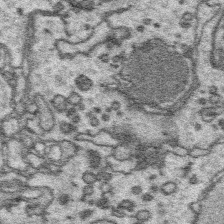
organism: Platynereis dumerilii